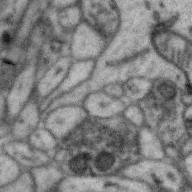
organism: Zebra finch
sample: Brain